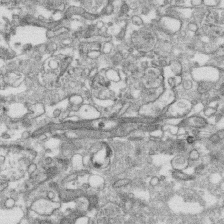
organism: Human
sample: CRL-1474